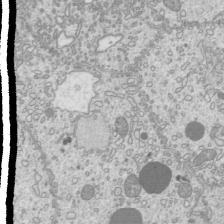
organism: Mouse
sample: Cilia; mouse epididymis